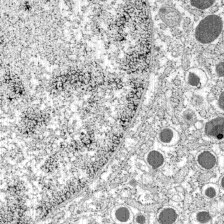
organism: C57BL Mouse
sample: Pancreatic islet